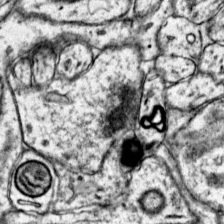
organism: Mouse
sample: Primary visual cortex